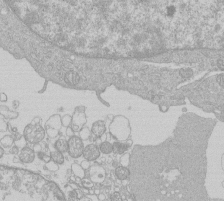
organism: Human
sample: Macrophage cells